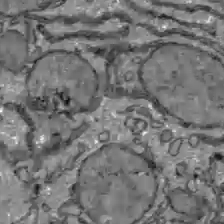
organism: C57BL Mouse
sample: Liver